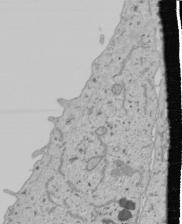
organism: Human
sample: Mitochondria in U2OS cells